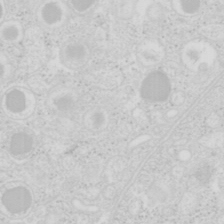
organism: Mouse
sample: Pancreas